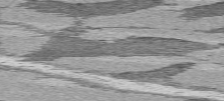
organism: C57BL Mouse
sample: Heart